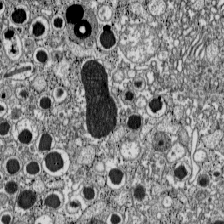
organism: C57BL Mouse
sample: Pancreatic islet